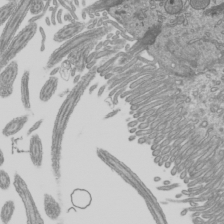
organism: Mouse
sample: Cilia; mouse epididymis